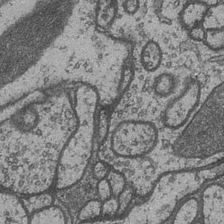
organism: Drosophila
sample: Optic medulla